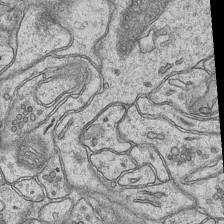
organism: Mouse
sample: CA1 Hippocampus